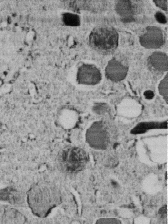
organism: C. elegans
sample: C. elegans embryo early stage